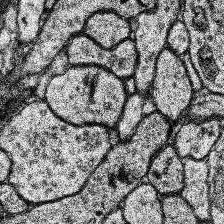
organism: Human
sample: Temporal Lobe